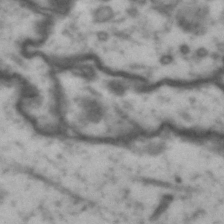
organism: Drosophila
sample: Brain